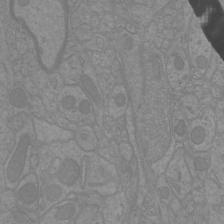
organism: Mouse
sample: Cortical neurons